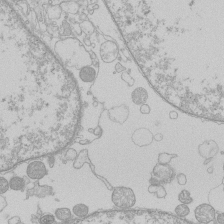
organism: Human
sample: Macrophage cells